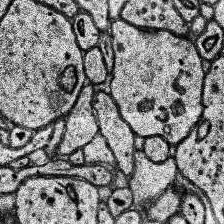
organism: Human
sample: Temporal Lobe